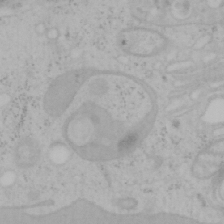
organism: Mouse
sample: OT-I killer T cells with ID8 ovarian cancer cells